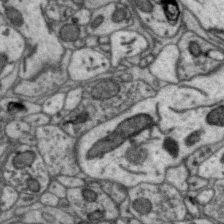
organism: Zebra finch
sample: Brain